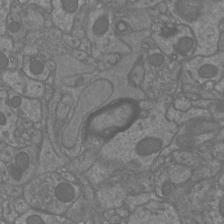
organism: Mouse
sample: Cortical neurons